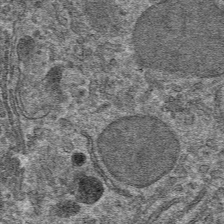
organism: Mouse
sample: Mouse hepatocytes